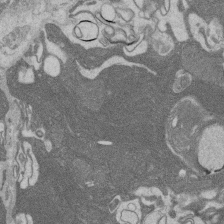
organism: Rat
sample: Salivary granule